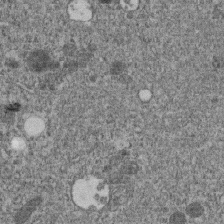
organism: C. elegans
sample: C. elegans embryo early stage